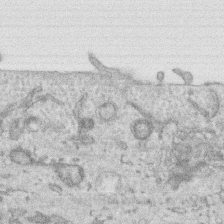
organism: Human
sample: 1205lu cells